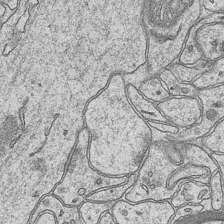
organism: Mouse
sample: CA1 Hippocampus